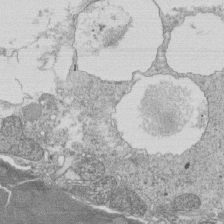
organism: Tetrahymena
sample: Cilia in tetrahymena